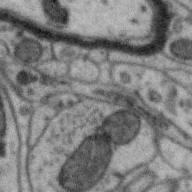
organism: Zebra finch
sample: Brain